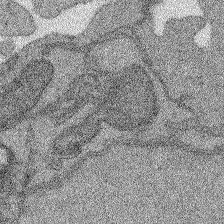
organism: Human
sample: HeLa cells